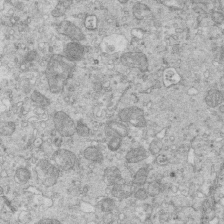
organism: Mouse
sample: Multiciliated cells